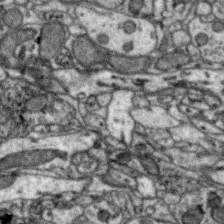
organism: Zebra finch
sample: Brain